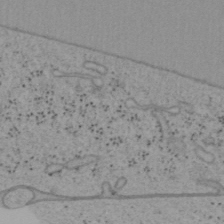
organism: Human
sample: HeLa cells